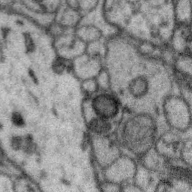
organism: Zebra finch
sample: Brain